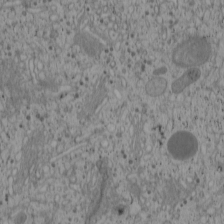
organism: African green monkey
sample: COS-7 cells